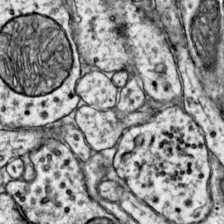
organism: Mouse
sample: Primary visual cortex